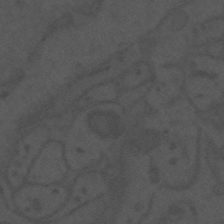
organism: Mouse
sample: Suprachiasmatic nucleus